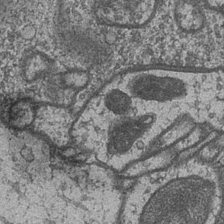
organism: Drosophila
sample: Optic medulla